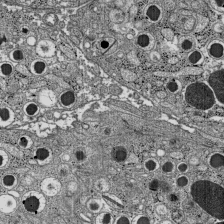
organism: C57BL Mouse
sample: Pancreatic islet